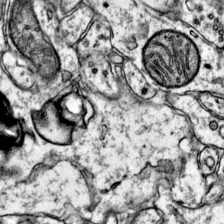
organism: Mouse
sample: Primary visual cortex